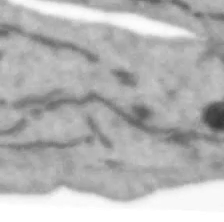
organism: Human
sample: SH-SY5Y cells